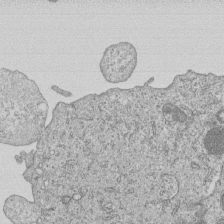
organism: Human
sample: MDA-MB-231 cells